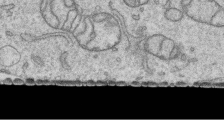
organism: Human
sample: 1205lu cells